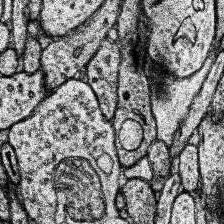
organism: Human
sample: Temporal Lobe